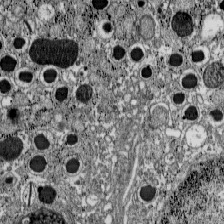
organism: C57BL Mouse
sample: Pancreatic islet